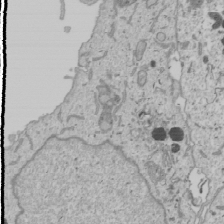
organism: Human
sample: Mitochondria in U2OS cells